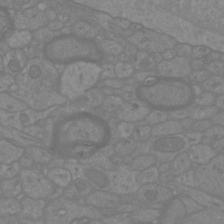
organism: Mouse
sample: Cortical neurons